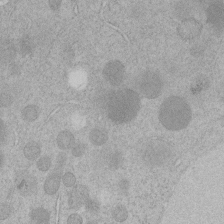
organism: C. elegans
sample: C. elegans embryo early stage